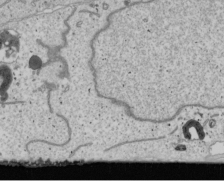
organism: Human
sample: Mitochondria in U2OS cells